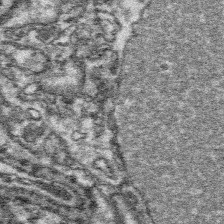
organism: Platynereis dumerilii